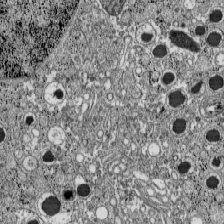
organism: C57BL Mouse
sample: Pancreatic islet